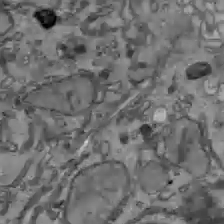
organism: C57BL Mouse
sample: Liver